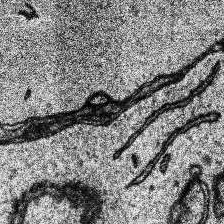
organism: Human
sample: Temporal Lobe